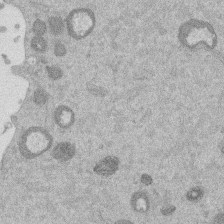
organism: Mouse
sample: Dividing mouse embryo 1 cell stage